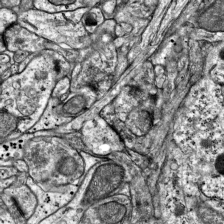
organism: Mouse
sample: Visual Cortex